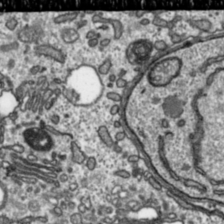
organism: Toxoplasma gondii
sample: Parasites in a vacuole inside a host cell